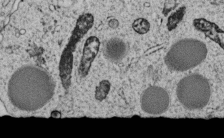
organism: C. elegans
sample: C. elegans embryo early stage